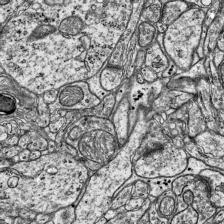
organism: Mouse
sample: Visual Cortex